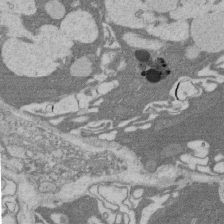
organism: Rat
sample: Salivary granule